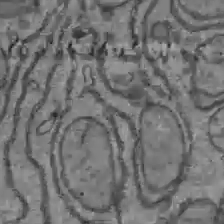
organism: C57BL Mouse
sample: Liver